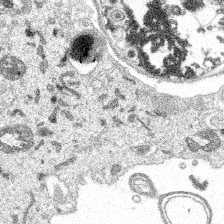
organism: Spongilla lacustris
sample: Multiple